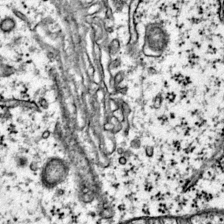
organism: Mouse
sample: Primary visual cortex